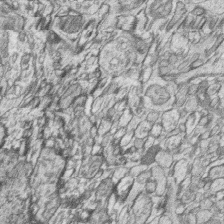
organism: Zebrafish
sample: synaptic ribbons in rod cells and cone cells